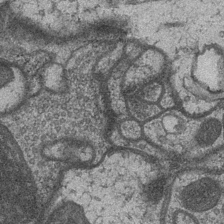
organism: Drosophila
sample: Optic medulla